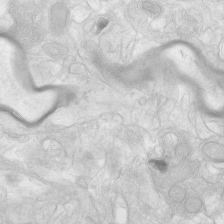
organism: Human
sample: Neocortex